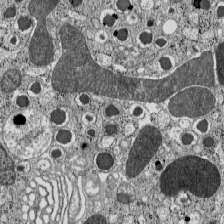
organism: C57BL Mouse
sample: Pancreatic islet